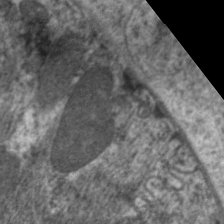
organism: C. elegans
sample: Pharynx